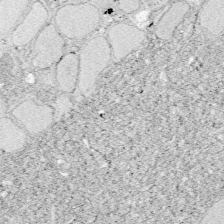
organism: Zebrafish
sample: Whole-Brain